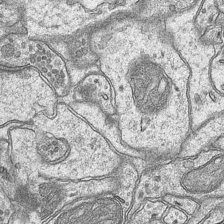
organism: Mouse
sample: CA1 Hippocampus